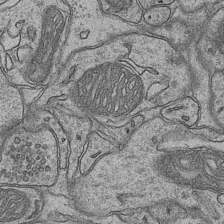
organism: Mouse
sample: CA1 Hippocampus